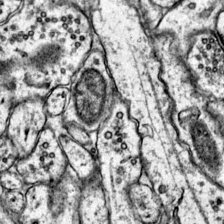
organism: Mouse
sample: Primary visual cortex